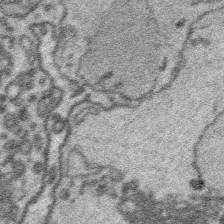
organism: Platynereis dumerilii